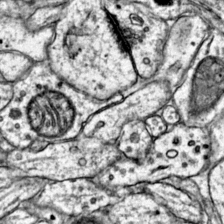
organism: Mouse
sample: Primary visual cortex